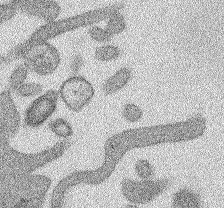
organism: Human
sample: HeLa cells